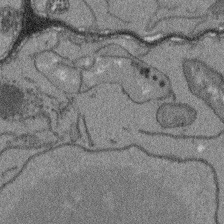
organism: Arabidopsis thaliana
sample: Root tip